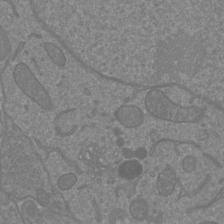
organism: Mouse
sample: Cortical neurons